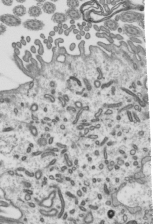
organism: Mouse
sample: Mouse epididymis efferent ductule cilia